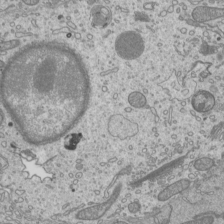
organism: Mouse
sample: Cilia; mouse epididymis